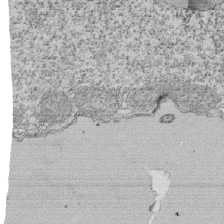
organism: Tetrahymena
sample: Cilia in tetrahymena